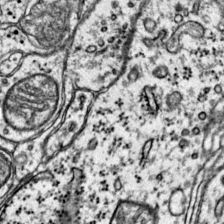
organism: Mouse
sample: Primary visual cortex